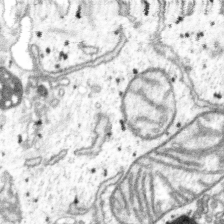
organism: Human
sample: HeLa cells